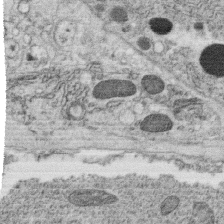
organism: C. elegans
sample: C. elegans oocyte; sperm cells